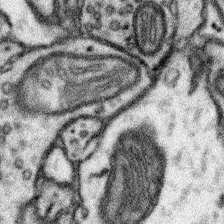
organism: Mouse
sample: Somatosensory cortex neuropil